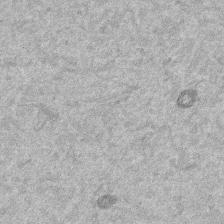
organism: Mouse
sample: Dividing mouse embryo 1 cell stage